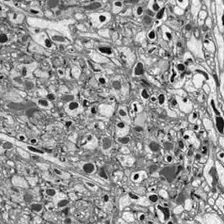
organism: Drosophila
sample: Optic lobe